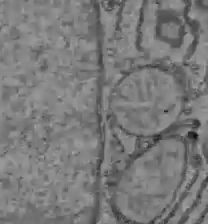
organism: C57BL Mouse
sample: Liver